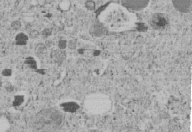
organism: C. elegans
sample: C. elegans embryo early stage